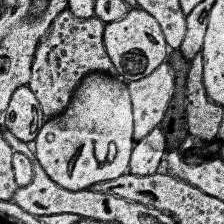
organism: Human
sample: Temporal Lobe